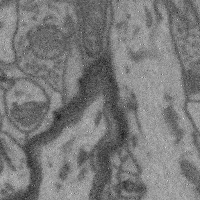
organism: Mouse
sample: Cerebral cortex